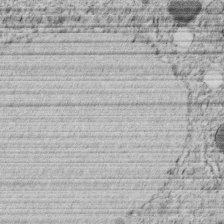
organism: C. elegans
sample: C. elegans embryo early stage